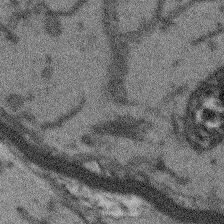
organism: Arabidopsis thaliana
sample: Root tip